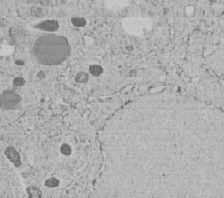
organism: C. elegans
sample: C. elegans embryo early stage